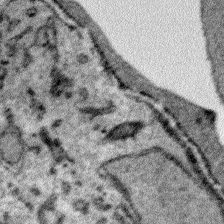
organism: Plasmodium falciparum